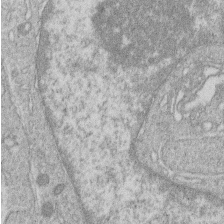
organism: Human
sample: Macrophage cells